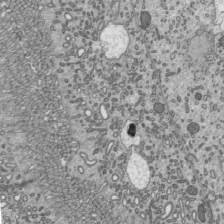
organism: Mouse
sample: Mouse epididymis efferent ductule cilia